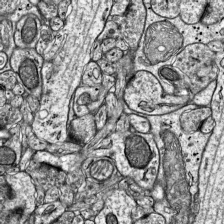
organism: Mouse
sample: Visual Cortex